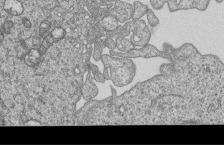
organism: Human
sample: MDA-MB-231 cells